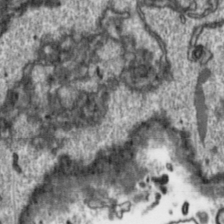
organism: Toxoplasma gondii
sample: Parasites in a vacuole inside a host cell